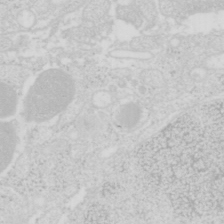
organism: Mouse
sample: Pancreas